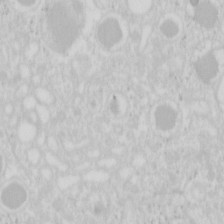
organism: Mouse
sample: Pancreas